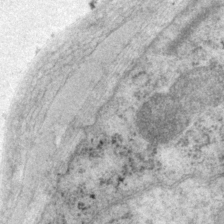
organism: P. pacificus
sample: Pharynx